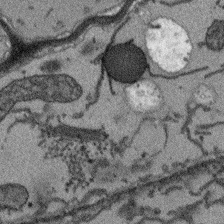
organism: Arabidopsis thaliana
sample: Root tip